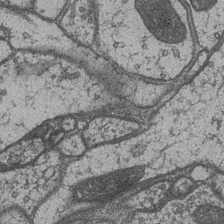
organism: Drosophila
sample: Optic medulla